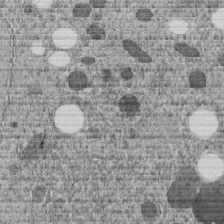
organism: C. elegans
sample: C. elegans embryo early stage